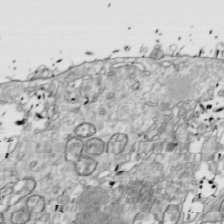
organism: Drosophila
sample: Cell division; meiosis; drosophila spermatocytes